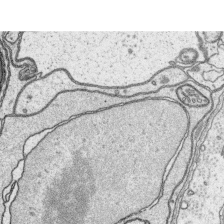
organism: Platynereis dumerilii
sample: Parapodia